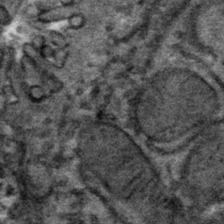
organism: Mouse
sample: Mouse hepatocytes